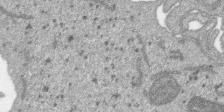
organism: Human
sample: Lung epithelial cells infected with SARS-CoV-2